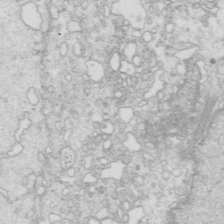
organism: Mouse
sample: Multiciliated cells